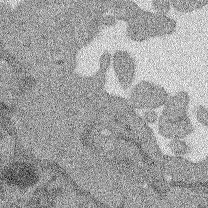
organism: Human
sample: HeLa cells